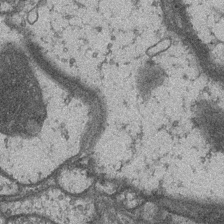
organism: Drosophila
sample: Optic medulla